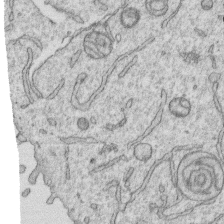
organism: Human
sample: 1205lu cells